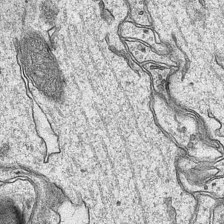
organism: Mouse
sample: CA1 Hippocampus